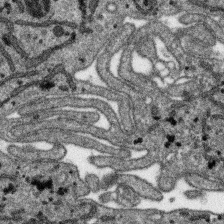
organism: Human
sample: Lung epithelial cells infected with SARS-CoV-2